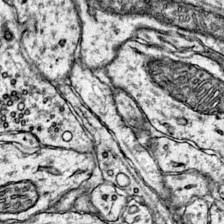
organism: Mouse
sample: Primary visual cortex